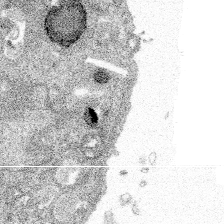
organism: Spongilla lacustris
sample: Multiple